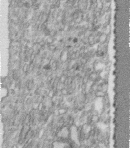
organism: Human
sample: Centriole in fibroblast cells